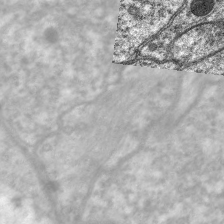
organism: C. elegans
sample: Pharynx